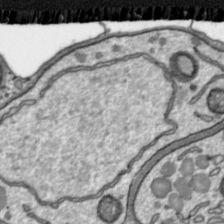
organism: Toxoplasma gondii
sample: Parasites in a vacuole inside a host cell